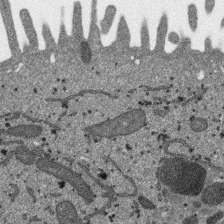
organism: Human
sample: Lung epithelial cells infected with SARS-CoV-2